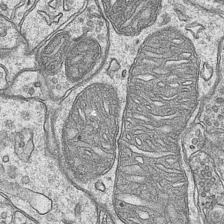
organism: Mouse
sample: CA1 Hippocampus